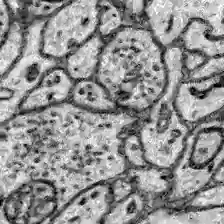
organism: Zebrafish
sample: Brain